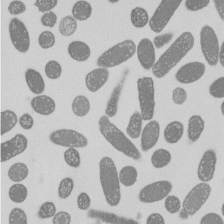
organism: E. coli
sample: Bacterial nucleoid